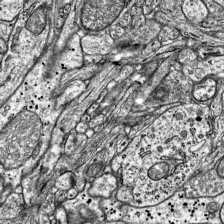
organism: Mouse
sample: Visual Cortex